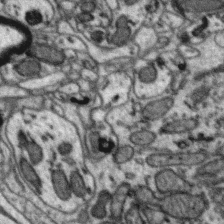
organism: Zebra finch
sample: Brain